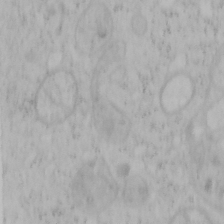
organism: Mouse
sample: OT-I killer T cells with ID8 ovarian cancer cells